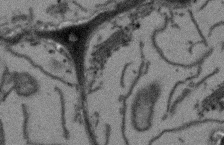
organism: Arabidopsis thaliana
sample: Root tip